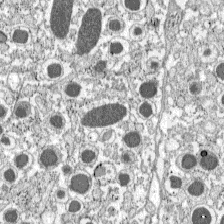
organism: C57BL Mouse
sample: Pancreatic islet